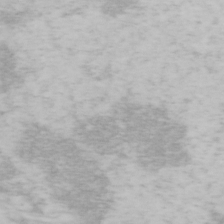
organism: Mouse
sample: OT-I killer T cells with ID8 ovarian cancer cells